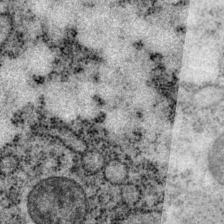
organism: P. pacificus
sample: Pharynx